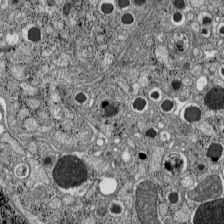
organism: C57BL Mouse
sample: Pancreatic islet